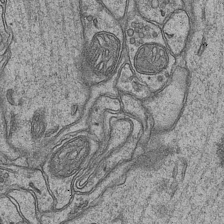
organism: Mouse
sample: CA1 Hippocampus